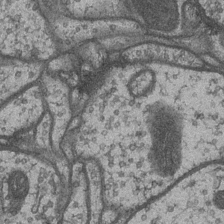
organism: Drosophila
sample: Optic medulla